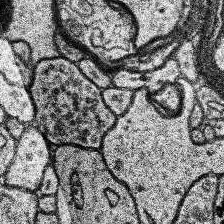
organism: Human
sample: Temporal Lobe